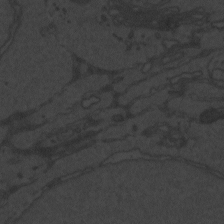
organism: Zebrafish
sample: Macrophage infected with Toxoplasma gondii